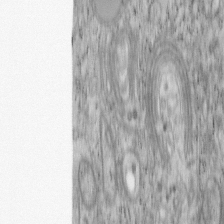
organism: Human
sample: HeLa cells